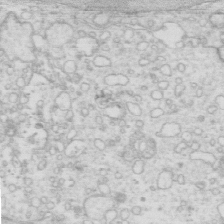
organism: Mouse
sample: Multiciliated cells